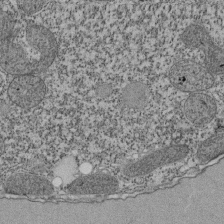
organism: Tetrahymena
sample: Cilia in tetrahymena